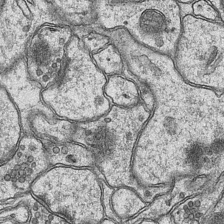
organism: Mouse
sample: CA1 Hippocampus